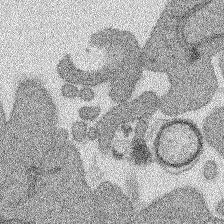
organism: Human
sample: HeLa cells